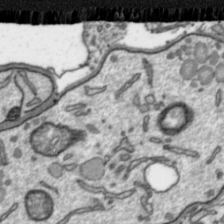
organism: Toxoplasma gondii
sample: Parasites in a vacuole inside a host cell